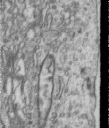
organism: Human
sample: Centriole in RPE cells